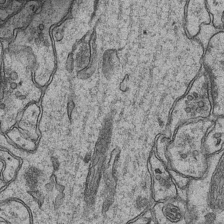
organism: Mouse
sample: CA1 Hippocampus